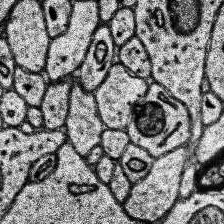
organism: Human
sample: Temporal Lobe